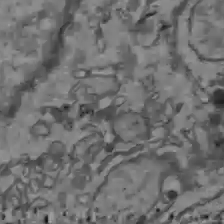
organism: C57BL Mouse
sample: Liver